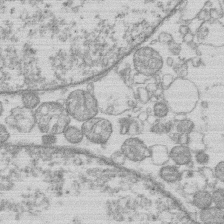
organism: Human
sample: Macrophage cells